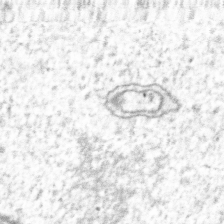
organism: Human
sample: HeLa cells